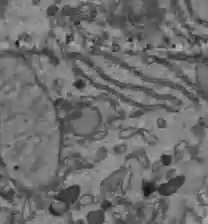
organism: C57BL Mouse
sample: Liver